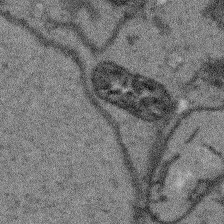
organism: Arabidopsis thaliana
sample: Root tip